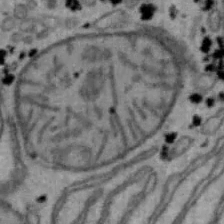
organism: Mouse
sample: Liver